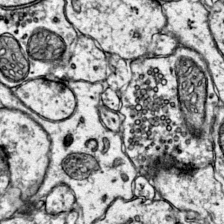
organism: Mouse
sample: Primary visual cortex